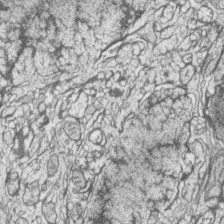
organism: Zebrafish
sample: synaptic ribbons in rod cells and cone cells